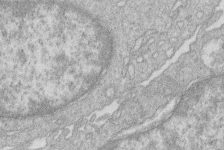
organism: Human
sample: Macrophage cells